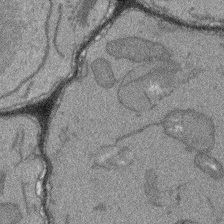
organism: Arabidopsis thaliana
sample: Root tip